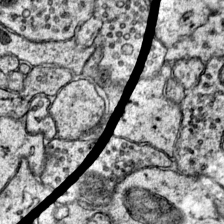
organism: Mouse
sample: Primary visual cortex